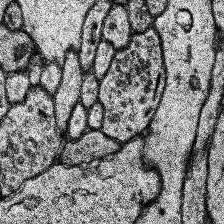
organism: Human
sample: Temporal Lobe